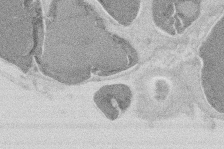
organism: Mouse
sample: T cell stromal cell synapse